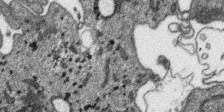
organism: Human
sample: Lung epithelial cells infected with SARS-CoV-2